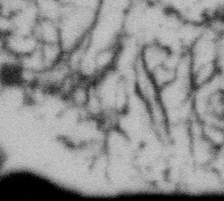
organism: Gemmata obscuriglobus